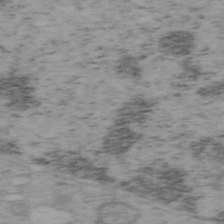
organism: Mouse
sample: OT-I killer T cells with ID8 ovarian cancer cells